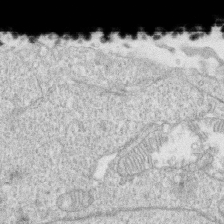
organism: Human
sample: HeLa cell HIV synapse